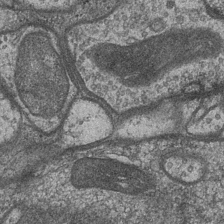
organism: Drosophila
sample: Optic medulla